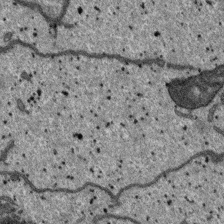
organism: Human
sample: Lung epithelial cells, uninfected (mock) control